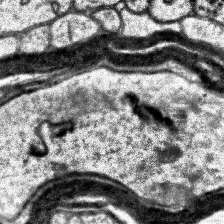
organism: Human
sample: Temporal Lobe